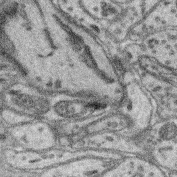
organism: Mouse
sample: Retina